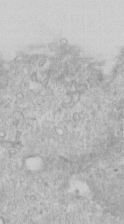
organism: Human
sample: Centriole in RPE cells